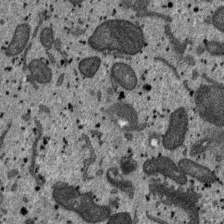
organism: Human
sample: Lung epithelial cells, uninfected (mock) control